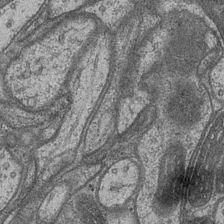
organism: Drosophila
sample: Optic medulla